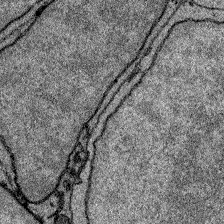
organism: Zebrafish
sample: Larval olfactory bulb